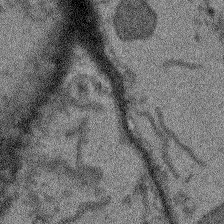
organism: Arabidopsis thaliana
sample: Root tip